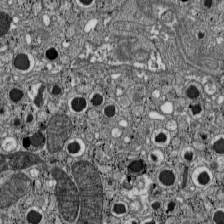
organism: C57BL Mouse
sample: Pancreatic islet